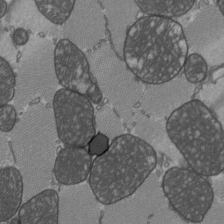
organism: C57BL Mouse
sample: Heart